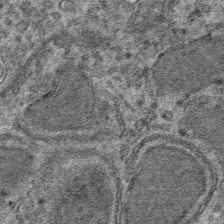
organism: Mouse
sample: Mouse hepatocytes